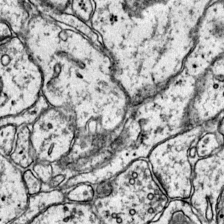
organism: Mouse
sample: Primary visual cortex